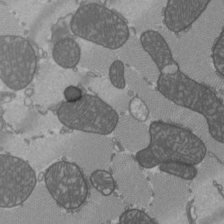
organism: C57BL Mouse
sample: Heart